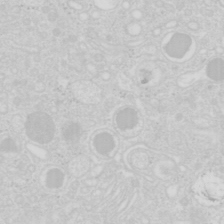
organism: Mouse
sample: Pancreas